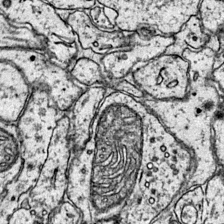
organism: Mouse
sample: Primary visual cortex